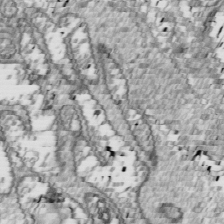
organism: Drosophila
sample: Cell division; meiosis; drosophila spermatocytes